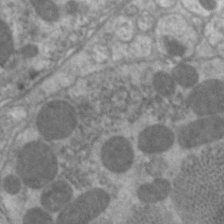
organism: C. elegans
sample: Pharynx